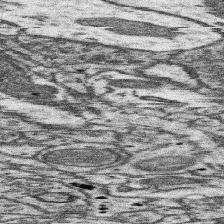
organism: Mouse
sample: Somatosensory cortex neuropil